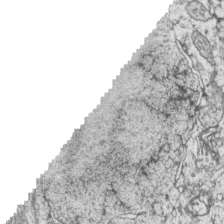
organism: Zebrafish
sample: synaptic ribbons in rod cells and cone cells